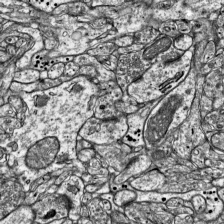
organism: Mouse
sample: Visual Cortex